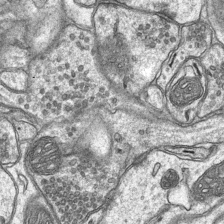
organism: Mouse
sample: CA1 Hippocampus